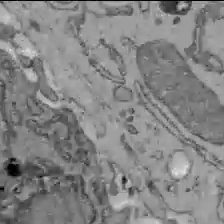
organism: C57BL Mouse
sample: Liver